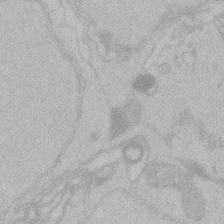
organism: Zebrafish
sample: Macrophage infected with Toxoplasma gondii